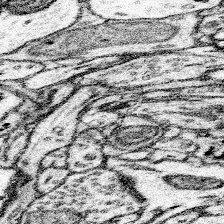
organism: Mouse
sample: Somatosensory cortex neuropil